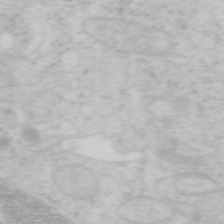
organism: Mouse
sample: OT-I killer T cells with ID8 ovarian cancer cells